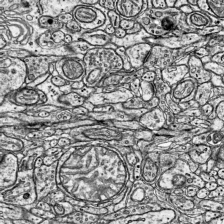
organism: Mouse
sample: Visual Cortex